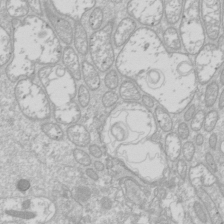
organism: Drosophila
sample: Cell division; meiosis; drosophila spermatocytes